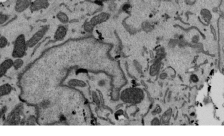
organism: Mouse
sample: ED-1 cell nuclei; centrioles